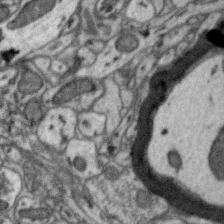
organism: Zebra finch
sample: Brain